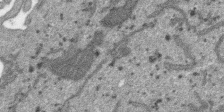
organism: Human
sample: Lung epithelial cells infected with SARS-CoV-2